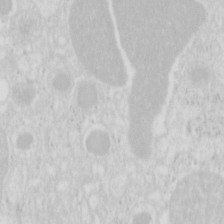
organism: Mouse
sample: Pancreas